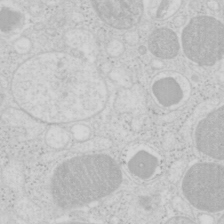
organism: Mouse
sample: Pancreas